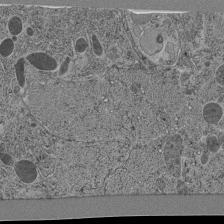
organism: C. elegans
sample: C. elegans pharynx